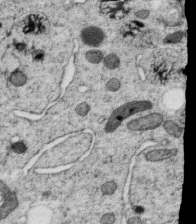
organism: C. elegans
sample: C. elegans oocyte; sperm cells